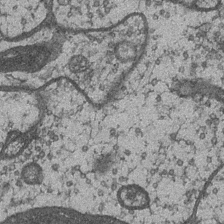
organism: Drosophila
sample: Optic medulla